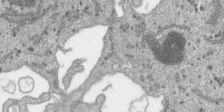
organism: Human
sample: Lung epithelial cells infected with SARS-CoV-2